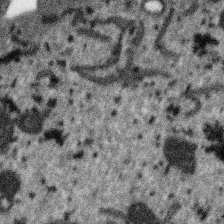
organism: Human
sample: Lung epithelial cells infected with SARS-CoV-2